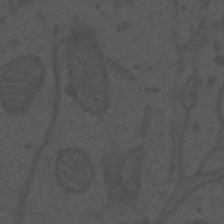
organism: Mouse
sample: Suprachiasmatic nucleus